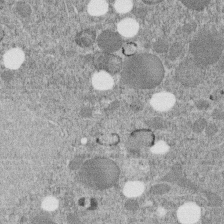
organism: C. elegans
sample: C. elegans embryo early stage